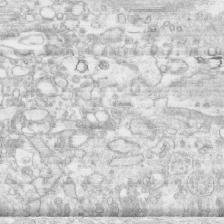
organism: Human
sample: CRL-1474